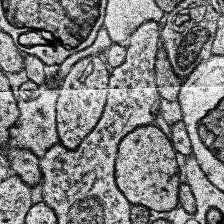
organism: Human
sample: Temporal Lobe